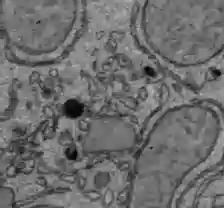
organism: C57BL Mouse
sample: Liver